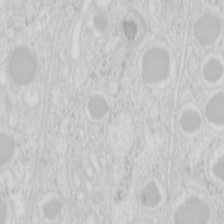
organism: Mouse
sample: Pancreas